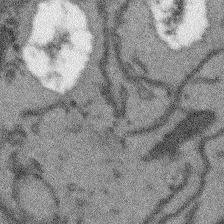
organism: Arabidopsis thaliana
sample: Root tip